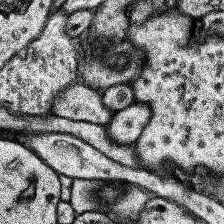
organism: Human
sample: Temporal Lobe